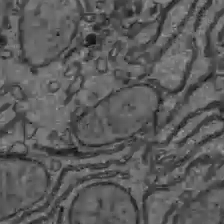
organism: C57BL Mouse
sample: Liver